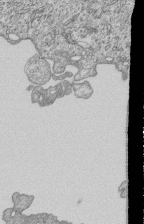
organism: Human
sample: MDA-MB-231 cells